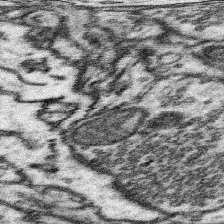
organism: Mouse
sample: Somatosensory cortex neuropil